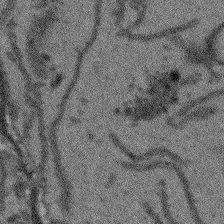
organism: Arabidopsis thaliana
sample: Root tip